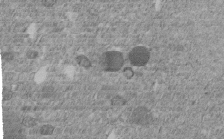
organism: C. elegans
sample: C. elegans embryo early stage